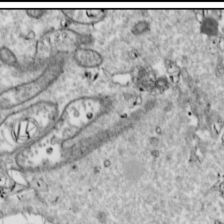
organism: Drosophila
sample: Cell division; meiosis; drosophila spermatocytes